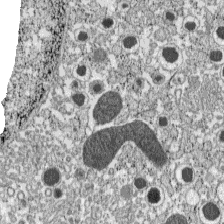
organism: C57BL Mouse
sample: Pancreatic islet